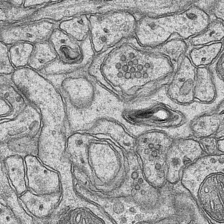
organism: Mouse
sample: CA1 Hippocampus